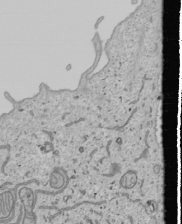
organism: Human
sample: Mitochondria in U2OS cells